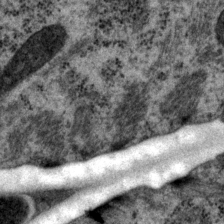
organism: P. pacificus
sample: Pharynx